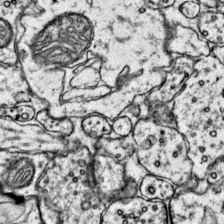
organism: Mouse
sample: Primary visual cortex